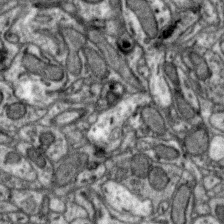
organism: Zebra finch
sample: Brain